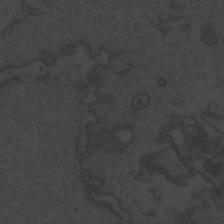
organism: Zebrafish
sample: Macrophage infected with Toxoplasma gondii